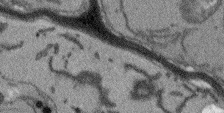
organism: Arabidopsis thaliana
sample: Root tip